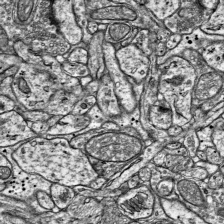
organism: Mouse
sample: Visual Cortex